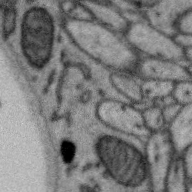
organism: Zebra finch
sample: Brain